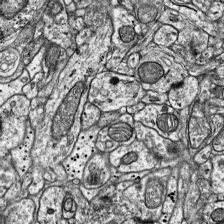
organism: Mouse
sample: Visual Cortex